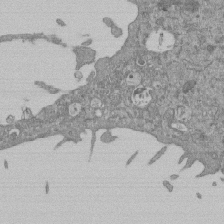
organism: Mouse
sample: ED-1 cell nuclei; centrioles